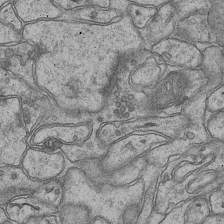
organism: Mouse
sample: CA1 Hippocampus